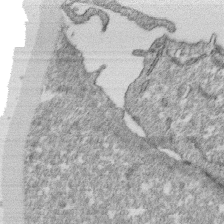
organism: African green monkey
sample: Vero E6 cells infected with SARS-CoV-2